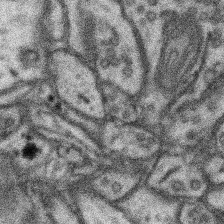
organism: Mouse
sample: Somatosensory cortex neuropil